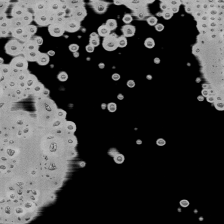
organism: Mouse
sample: Activated Pmel transgenic CD8+ T Cells